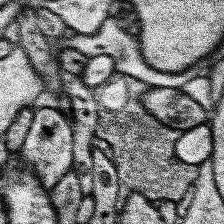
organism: Human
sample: Temporal Lobe